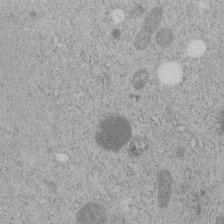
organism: C. elegans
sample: C. elegans embryo early stage